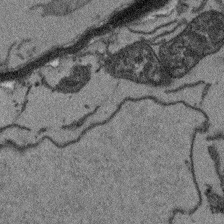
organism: Arabidopsis thaliana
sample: Root tip